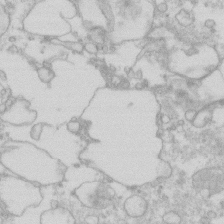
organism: Human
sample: Fibroblast cells